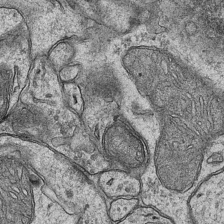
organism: Mouse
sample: CA1 Hippocampus